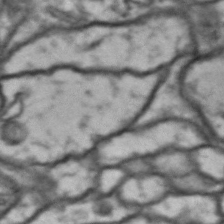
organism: Drosophila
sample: Brain